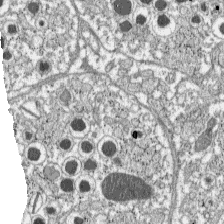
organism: C57BL Mouse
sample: Pancreatic islet